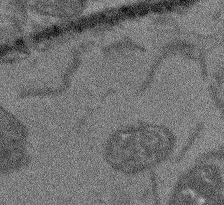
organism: Arabidopsis thaliana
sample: Root tip